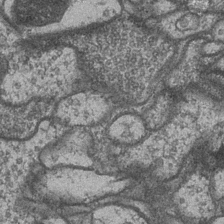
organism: Drosophila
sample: Optic medulla